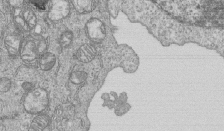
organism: Human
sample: MDA-MB-231 cells